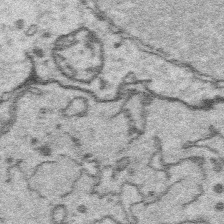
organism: Platynereis dumerilii